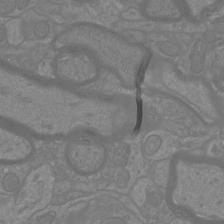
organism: Mouse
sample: Cortical neurons